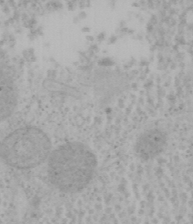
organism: Mouse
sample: OT-I killer T cells with ID8 ovarian cancer cells